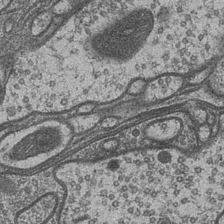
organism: Drosophila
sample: Optic medulla